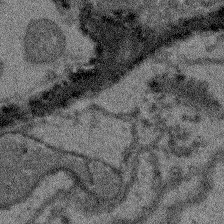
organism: Arabidopsis thaliana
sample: Root tip